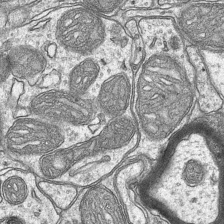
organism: Mouse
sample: CA1 Hippocampus